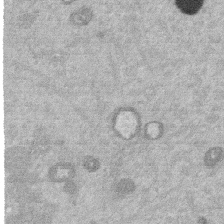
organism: Mouse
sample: Dividing mouse embryo 1 cell stage